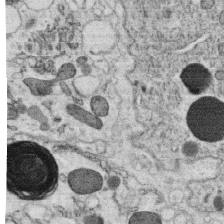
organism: C. elegans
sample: C. elegans oocyte; sperm cells